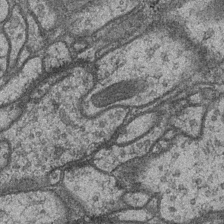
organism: Drosophila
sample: Optic medulla